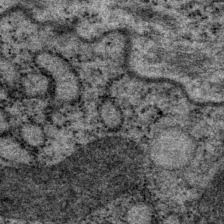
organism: P. pacificus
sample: Pharynx